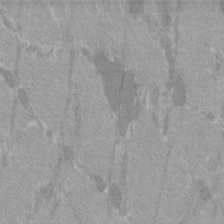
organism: C57BL Mouse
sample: Tibialis anterior muscle cell